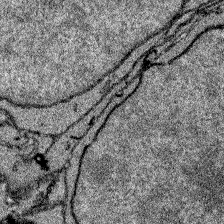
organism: Zebrafish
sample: Larval olfactory bulb